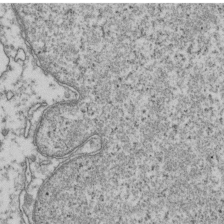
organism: Human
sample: Activated Jurkat CD4+ T cells